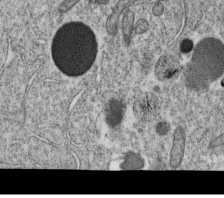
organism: C. elegans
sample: C. elegans oocyte; sperm cells